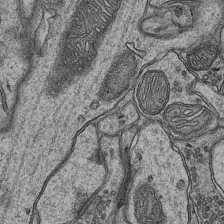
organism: Mouse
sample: CA1 Hippocampus